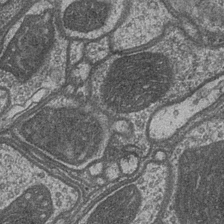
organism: Drosophila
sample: Optic medulla